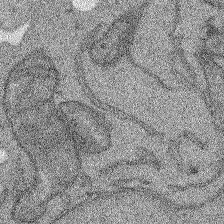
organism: Human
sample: HeLa cells